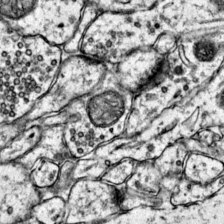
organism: Mouse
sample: Primary visual cortex